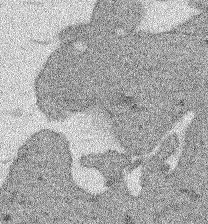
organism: Human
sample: HeLa cells